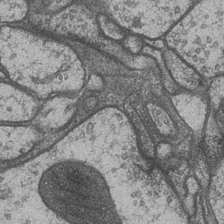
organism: Drosophila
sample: Optic medulla